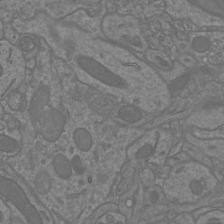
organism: Mouse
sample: Cortical neurons